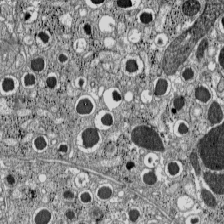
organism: C57BL Mouse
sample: Pancreatic islet